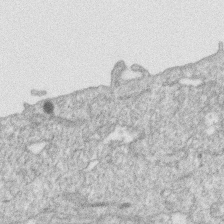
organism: Human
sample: HeLa cell HIV synapse